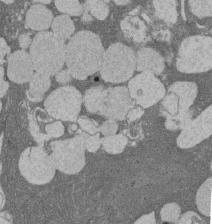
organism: Rat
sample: Salivary granule